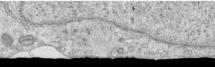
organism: Human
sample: Centriole in RPE cells